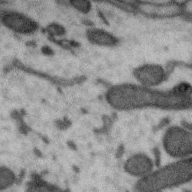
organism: Zebra finch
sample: Brain